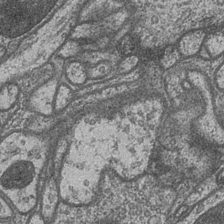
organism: Drosophila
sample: Optic medulla